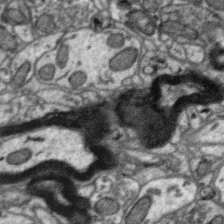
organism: Zebra finch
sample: Brain